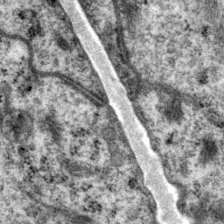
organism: P. pacificus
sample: Pharynx